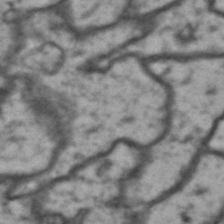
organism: Drosophila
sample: Brain